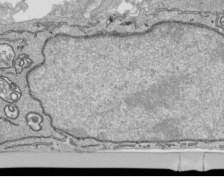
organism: Human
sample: Mitochondria in HCT116 cells